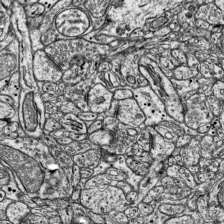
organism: Mouse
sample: Visual Cortex